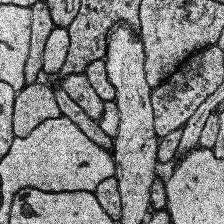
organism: Human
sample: Temporal Lobe